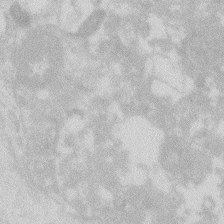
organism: Zebrafish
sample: Macrophage